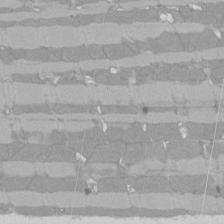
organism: Rat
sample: Left ventricle